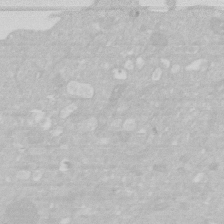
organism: Human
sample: HIV infected U937 cells